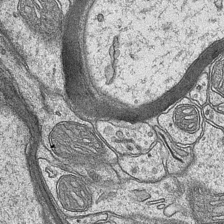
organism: Mouse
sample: CA1 Hippocampus